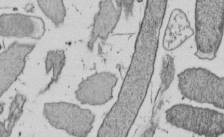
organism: E. coli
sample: Bacterial nucleoid